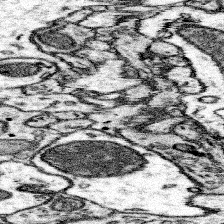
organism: Mouse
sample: Somatosensory cortex neuropil